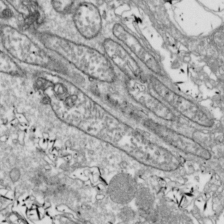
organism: Drosophila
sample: Cell division; meiosis; drosophila spermatocytes